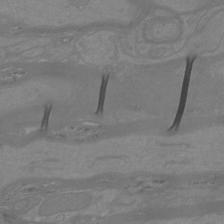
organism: Mouse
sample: Cortical neurons